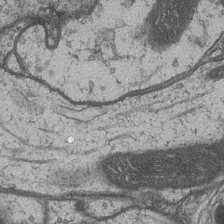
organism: Drosophila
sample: Optic medulla